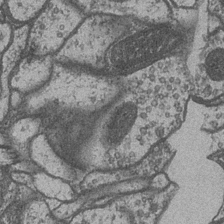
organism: Drosophila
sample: Optic medulla